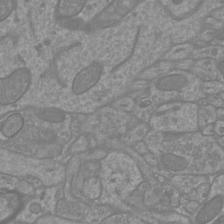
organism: Mouse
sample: Cortical neurons